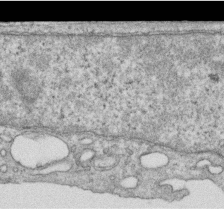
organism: Human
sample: Centriole in RPE cells